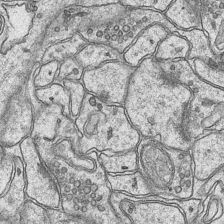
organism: Mouse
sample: CA1 Hippocampus